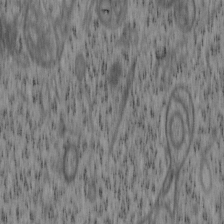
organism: Human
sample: HeLa cells